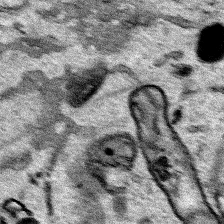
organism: Human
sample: Mitochondria in HCT116 cells